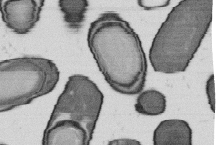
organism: B. subtilis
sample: Bacterial spore